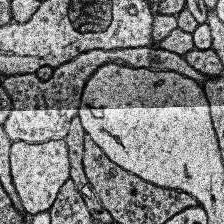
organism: Human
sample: Temporal Lobe